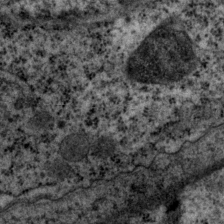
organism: P. pacificus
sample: Pharynx